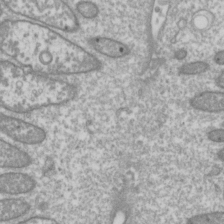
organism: Drosophila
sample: Cell division; meiosis; drosophila spermatocytes